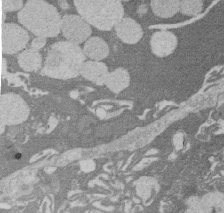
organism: Rat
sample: Salivary granule